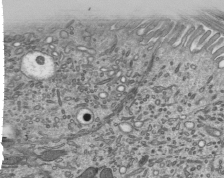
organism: Mouse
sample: Mouse epididymis efferent ductule cilia